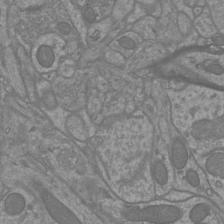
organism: Mouse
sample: Cortical neurons